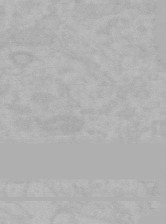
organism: Mouse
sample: Choroid plexus